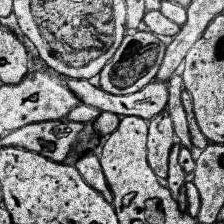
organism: Human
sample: Temporal Lobe